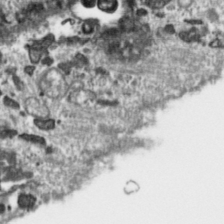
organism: Toxoplasma gondii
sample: Parasites in a vacuole inside a host cell